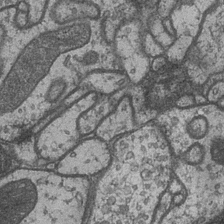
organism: Drosophila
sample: Optic medulla